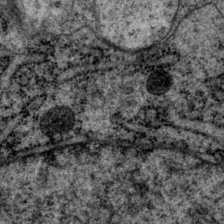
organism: P. pacificus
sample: Pharynx